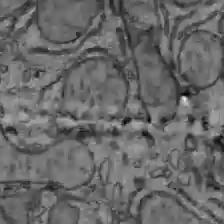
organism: C57BL Mouse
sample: Liver